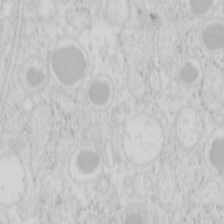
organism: Mouse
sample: Pancreas